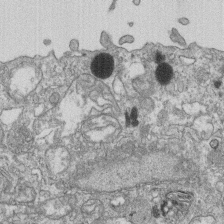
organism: Human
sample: HeLa cell HIV synapse